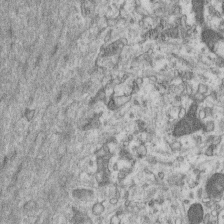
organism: Mouse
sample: Centriole in ependymal cells